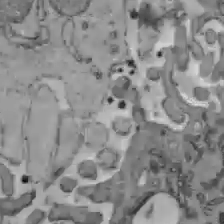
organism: C57BL Mouse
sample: Liver